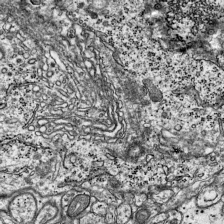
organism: Mouse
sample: Visual Cortex